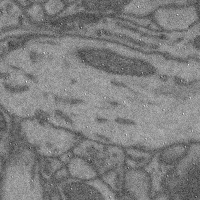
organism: Mouse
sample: Cerebral cortex